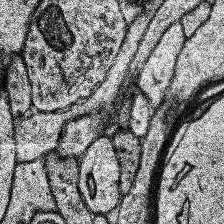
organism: Human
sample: Temporal Lobe